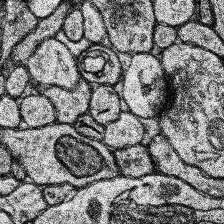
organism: Human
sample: Temporal Lobe